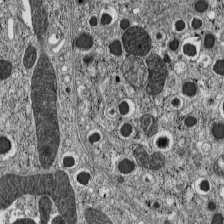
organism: C57BL Mouse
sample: Pancreatic islet